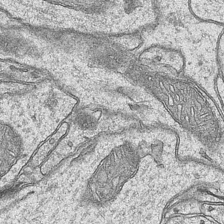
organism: Mouse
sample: CA1 Hippocampus